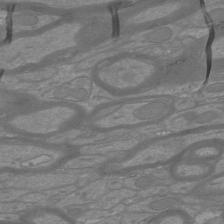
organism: Mouse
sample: Cortical neurons